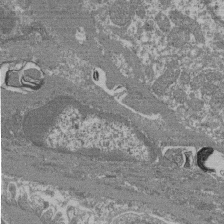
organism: Mouse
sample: Glomerulus